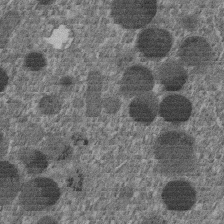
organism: C. elegans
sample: C. elegans embryo early stage